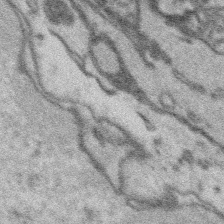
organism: Platynereis dumerilii